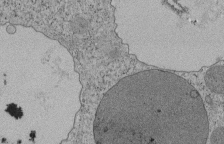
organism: Tetrahymena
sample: Cilia in tetrahymena